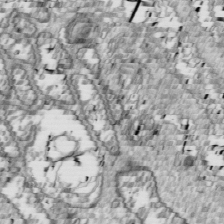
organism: Drosophila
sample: Cell division; meiosis; drosophila spermatocytes